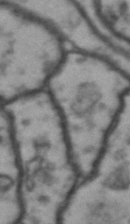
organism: Drosophila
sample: Brain